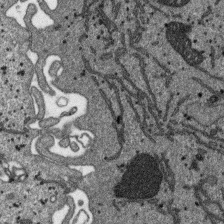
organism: Human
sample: Lung epithelial cells infected with SARS-CoV-2